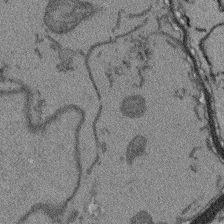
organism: Arabidopsis thaliana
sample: Root tip